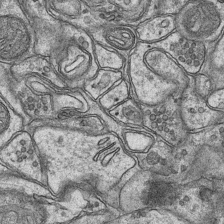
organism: Mouse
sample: CA1 Hippocampus